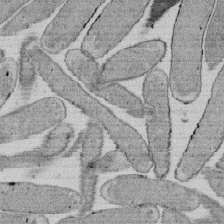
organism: E. coli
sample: Bacterial nucleoid